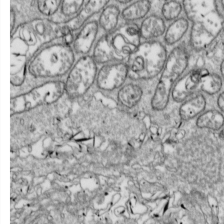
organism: Drosophila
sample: Cell division; meiosis; drosophila spermatocytes